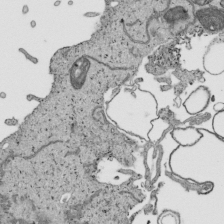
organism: Human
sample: Mitochondria in HCT116 cells